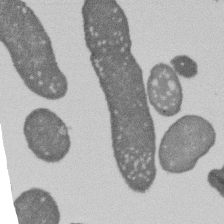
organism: E. coli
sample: Bacterial nucleoid